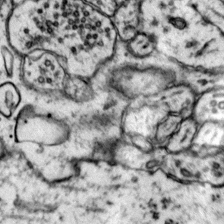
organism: Mouse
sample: Primary visual cortex